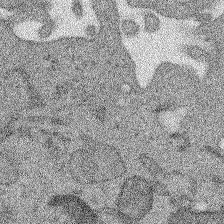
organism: Human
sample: HeLa cells